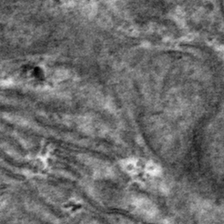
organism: Mouse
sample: Mouse hepatocytes